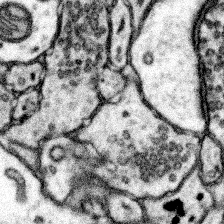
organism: Mouse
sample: Somatosensory cortex neuropil